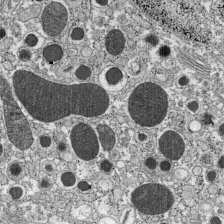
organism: C57BL Mouse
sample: Pancreatic islet